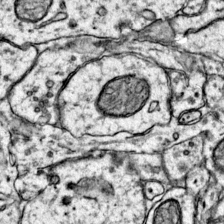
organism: Mouse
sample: Primary visual cortex